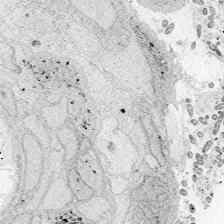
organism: Zebrafish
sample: Whole-Brain